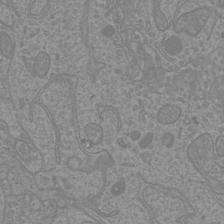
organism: Mouse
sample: Cortical neurons